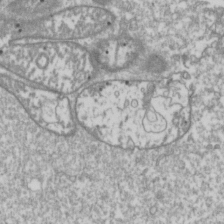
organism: Drosophila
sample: Cell division; meiosis; drosophila spermatocytes